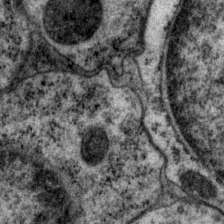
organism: P. pacificus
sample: Pharynx